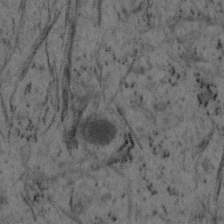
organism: Human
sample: HeLa cells